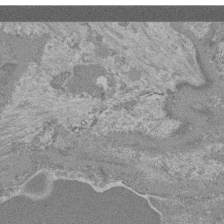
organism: Mouse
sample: Glomerulus